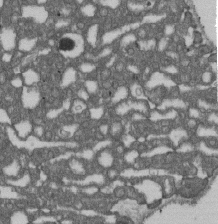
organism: Drosophila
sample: Nephrocyte